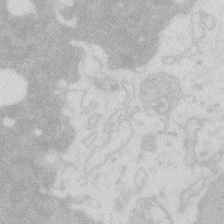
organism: Zebrafish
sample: Macrophage